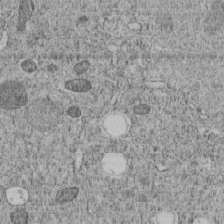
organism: C. elegans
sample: C. elegans embryo early stage